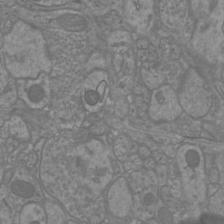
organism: Mouse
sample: Cortical neurons